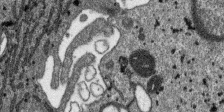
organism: Human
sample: Lung epithelial cells infected with SARS-CoV-2